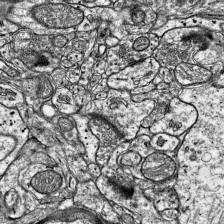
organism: Mouse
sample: Visual Cortex